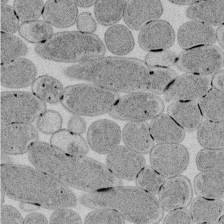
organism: E. coli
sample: Bacterial nucleoid